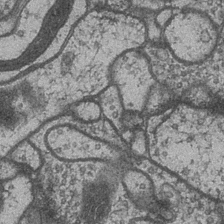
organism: Drosophila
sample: Optic medulla